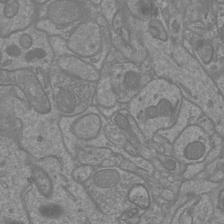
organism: Mouse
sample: Cortical neurons